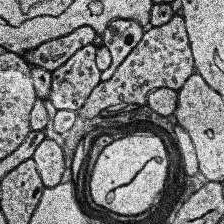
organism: Human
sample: Temporal Lobe